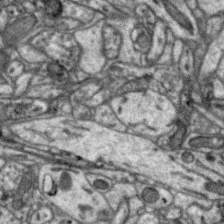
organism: Zebra finch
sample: Brain